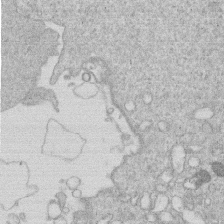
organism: Human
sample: Macrophage cells